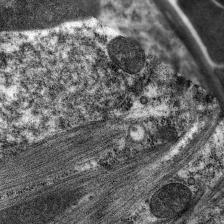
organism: C. elegans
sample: Pharynx